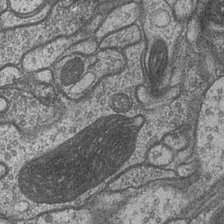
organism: Drosophila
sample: Optic medulla